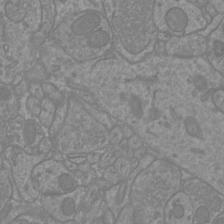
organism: Mouse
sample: Cortical neurons